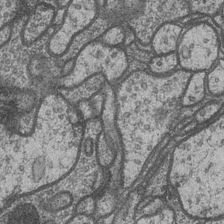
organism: Drosophila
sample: Optic medulla